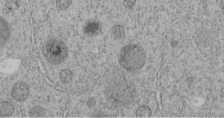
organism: C. elegans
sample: C. elegans embryo early stage